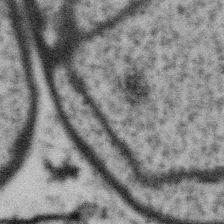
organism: Gemmata obscuriglobus